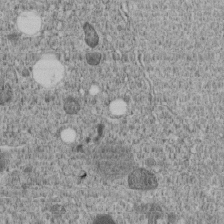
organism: C. elegans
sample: C. elegans embryo early stage